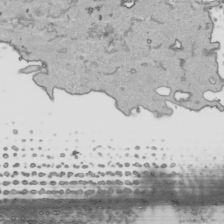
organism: Human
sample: Mitochondria in HCT116 cells